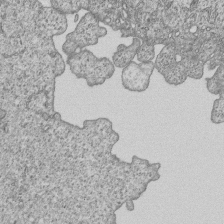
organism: Human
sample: MDA-MB-231 cells